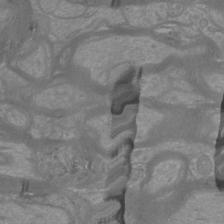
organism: Mouse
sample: Cortical neurons